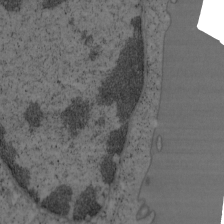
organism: Mouse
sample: OT-I killer T cells with ID8 ovarian cancer cells